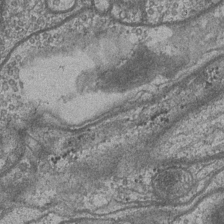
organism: Drosophila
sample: Optic medulla